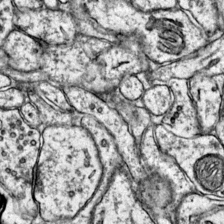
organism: Mouse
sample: Primary visual cortex